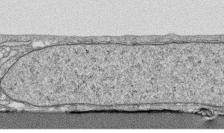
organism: Human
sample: CRL-1474